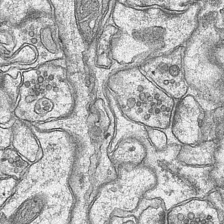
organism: Mouse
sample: CA1 Hippocampus